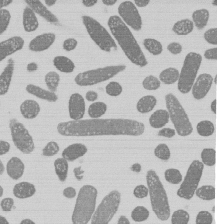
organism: E. coli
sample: Bacterial nucleoid